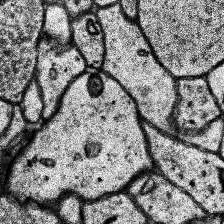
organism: Human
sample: Temporal Lobe